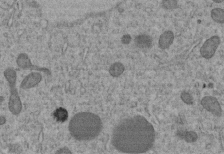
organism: C. elegans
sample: C. elegans embryo early stage